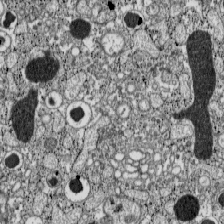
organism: C57BL Mouse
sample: Pancreatic islet